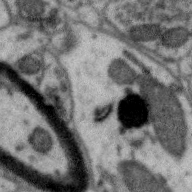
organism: Zebra finch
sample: Brain